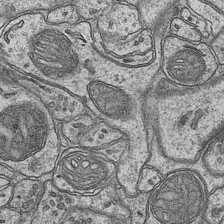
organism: Mouse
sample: CA1 Hippocampus